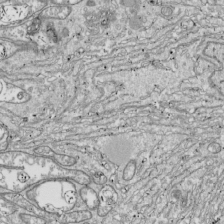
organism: Drosophila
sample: Cell division; meiosis; drosophila spermatocytes